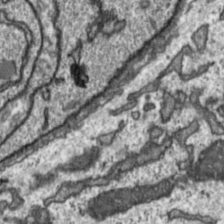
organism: Toxoplasma gondii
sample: Parasites in a vacuole inside a host cell